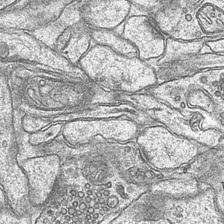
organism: Mouse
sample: CA1 Hippocampus